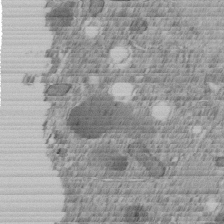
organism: C. elegans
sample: C. elegans embryo early stage